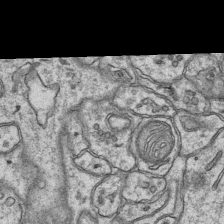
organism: Mouse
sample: CA1 Hippocampus